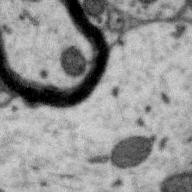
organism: Zebra finch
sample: Brain